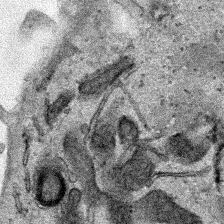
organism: Human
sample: Mitochondria in HCT116 cells